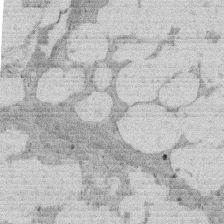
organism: Rat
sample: Salivary granule